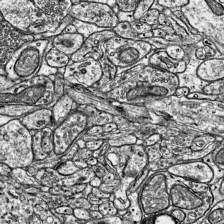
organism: Mouse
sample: Visual Cortex